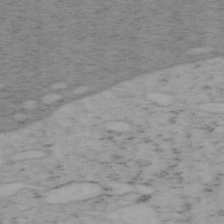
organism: Mouse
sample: OT-I killer T cells with ID8 ovarian cancer cells